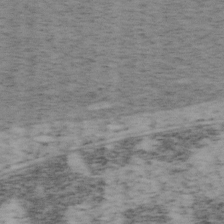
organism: Mouse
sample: OT-I killer T cells with ID8 ovarian cancer cells